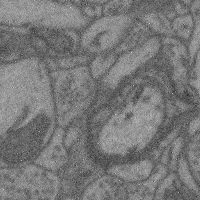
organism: Mouse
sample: Cerebral cortex